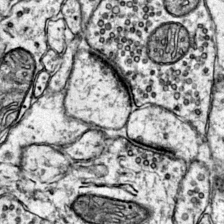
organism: Mouse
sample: Primary visual cortex